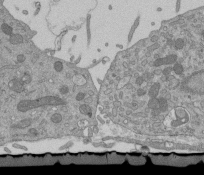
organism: Mouse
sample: ED-1 cell nuclei; centrioles